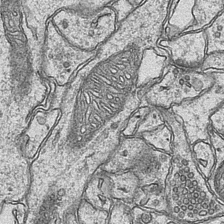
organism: Mouse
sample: CA1 Hippocampus